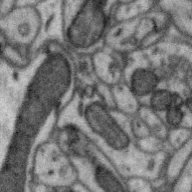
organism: Zebra finch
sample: Brain